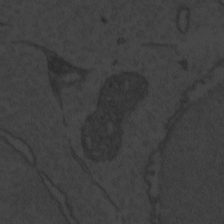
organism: Zebrafish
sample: Macrophage infected with Toxoplasma gondii